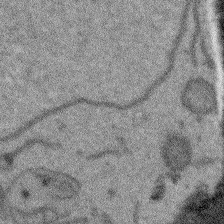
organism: Arabidopsis thaliana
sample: Root tip